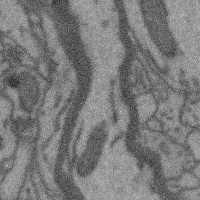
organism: Mouse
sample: Cerebral cortex